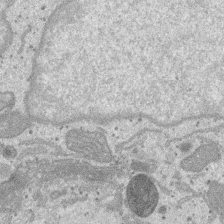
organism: Human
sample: Lung epithelial cells infected with SARS-CoV-2